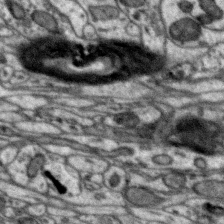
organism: Zebra finch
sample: Brain